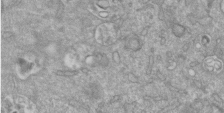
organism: Mouse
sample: ED-1 cell nuclei; centrioles